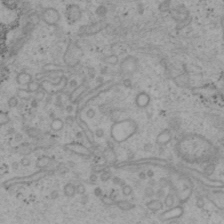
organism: Human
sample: HeLa cells